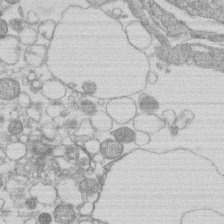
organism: Human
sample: Macrophage cells